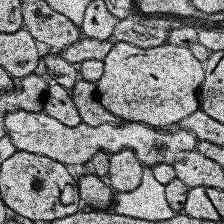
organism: Human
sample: Temporal Lobe